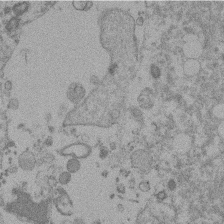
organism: Mouse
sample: Dividing mouse embryo 1 cell stage